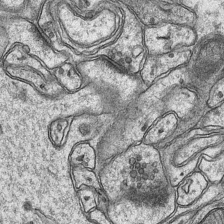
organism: Mouse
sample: CA1 Hippocampus